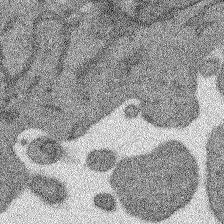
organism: Human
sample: HeLa cells